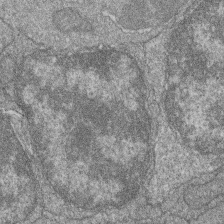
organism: Zebrafish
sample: Cilia; retinal pigment epithelium